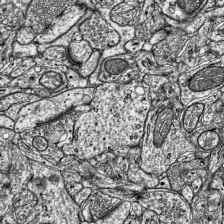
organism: Mouse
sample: Visual Cortex